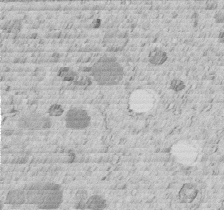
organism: C. elegans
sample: C. elegans embryo early stage